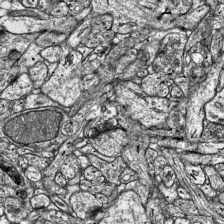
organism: Mouse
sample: Visual Cortex